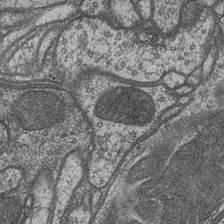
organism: Drosophila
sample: Optic medulla